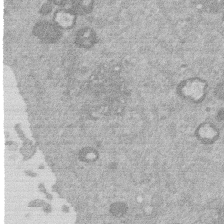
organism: Mouse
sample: Dividing mouse embryo 1 cell stage